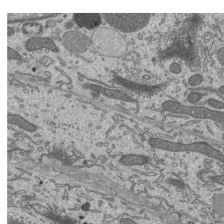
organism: Mouse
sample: Mouse epididymis efferent ductule cilia